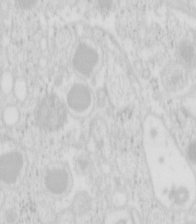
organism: Mouse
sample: Pancreas